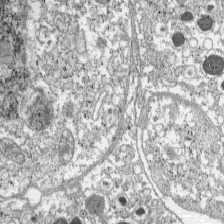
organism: C57BL Mouse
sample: Pancreatic islet